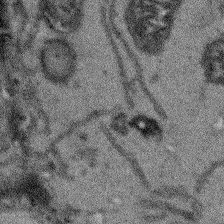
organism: Arabidopsis thaliana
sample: Root tip